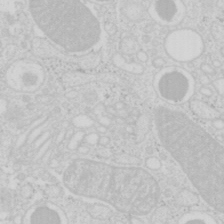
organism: Mouse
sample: Pancreas